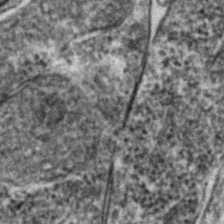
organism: Zebrafish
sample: Zebrafish embryo